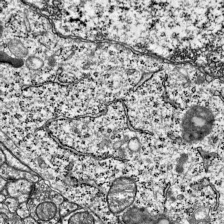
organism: Mouse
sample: Visual Cortex